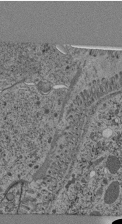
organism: C. elegans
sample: C. elegans pharynx